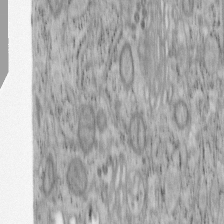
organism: Human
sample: HeLa cells